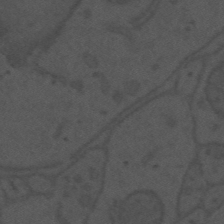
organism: Mouse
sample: Suprachiasmatic nucleus